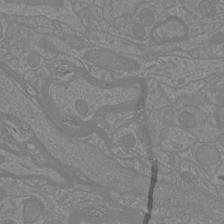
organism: Mouse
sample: Cortical neurons